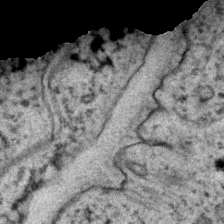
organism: C. elegans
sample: C. elegans embryo